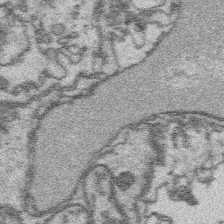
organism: Platynereis dumerilii